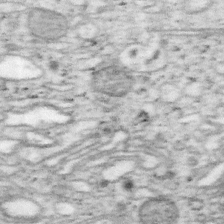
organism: Mouse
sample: OT-I killer T cells with ID8 ovarian cancer cells